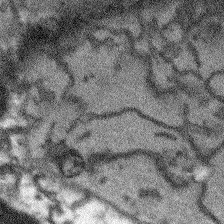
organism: Arabidopsis thaliana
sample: Root tip